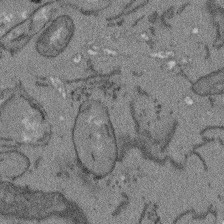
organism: Arabidopsis thaliana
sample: Root tip